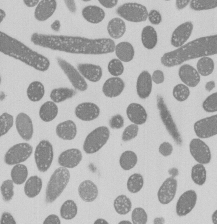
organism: E. coli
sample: Bacterial nucleoid